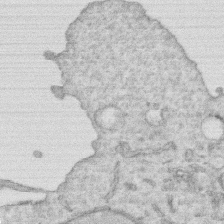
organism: Human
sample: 1205lu cells